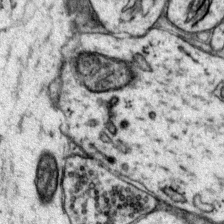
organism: Mouse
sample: Primary visual cortex